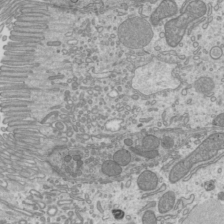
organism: Mouse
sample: Cilia; mouse epididymis